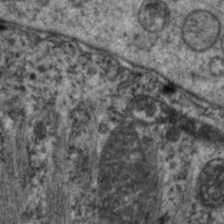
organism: C. elegans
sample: Pharynx